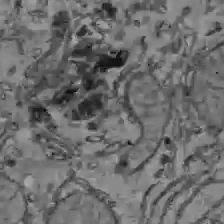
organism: C57BL Mouse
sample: Liver